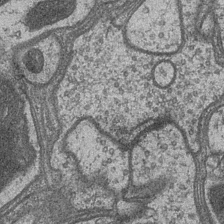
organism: Drosophila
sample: Optic medulla